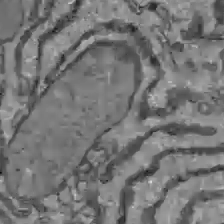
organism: C57BL Mouse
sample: Liver